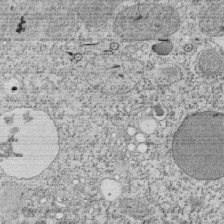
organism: Tetrahymena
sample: Cilia in tetrahymena